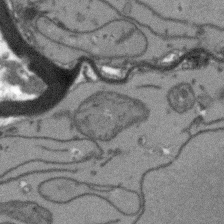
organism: Arabidopsis thaliana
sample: Root tip